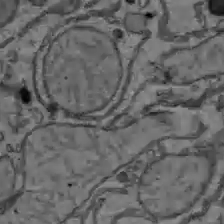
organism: C57BL Mouse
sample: Liver